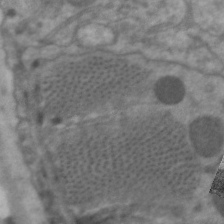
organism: C. elegans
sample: Pharynx